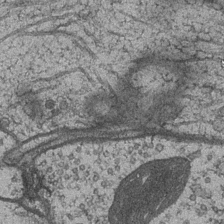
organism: Drosophila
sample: Optic medulla